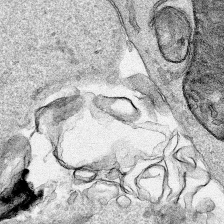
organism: Human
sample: Mitochondria in HCT116 cells